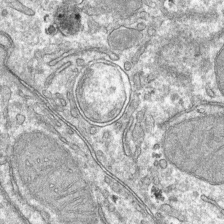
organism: Mouse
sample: Mouse hepatocytes